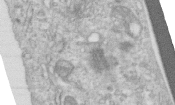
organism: Human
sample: Centriole in RPE cells